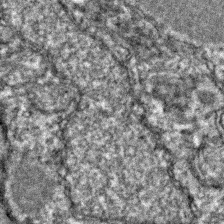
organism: Zebrafish